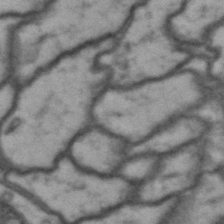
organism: Drosophila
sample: Brain